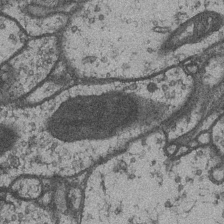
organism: Drosophila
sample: Optic medulla